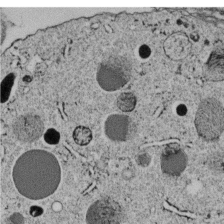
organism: C. elegans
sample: C. elegans embryo early stage